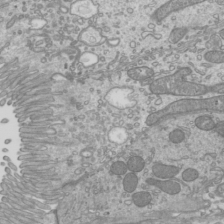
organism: Mouse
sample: Cilia; mouse epididymis